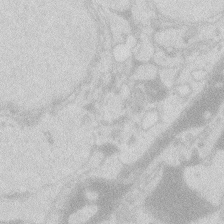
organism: Zebrafish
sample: Macrophage